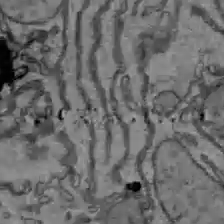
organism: C57BL Mouse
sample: Liver